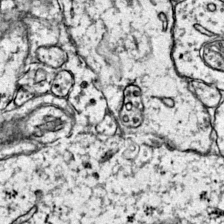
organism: Mouse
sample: Primary visual cortex